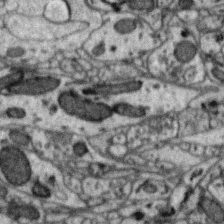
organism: Zebra finch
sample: Brain